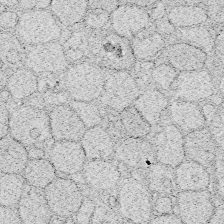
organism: Zebrafish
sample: Whole-Brain